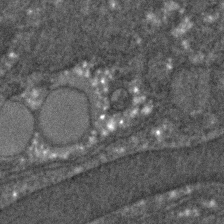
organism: C. elegans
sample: C. elegans embryo